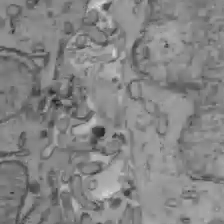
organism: C57BL Mouse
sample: Liver